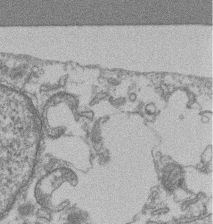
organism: Mouse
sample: T cell stromal cell synapse